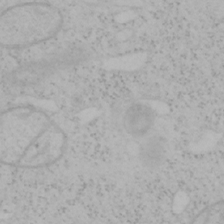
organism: Mouse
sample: OT-I killer T cells with ID8 ovarian cancer cells